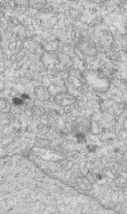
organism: Human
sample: HeLa cell HIV synapse